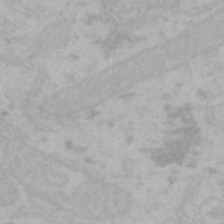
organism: Mouse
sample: Choroid plexus